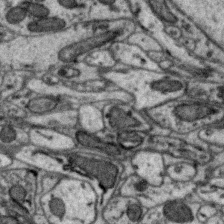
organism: Zebra finch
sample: Brain